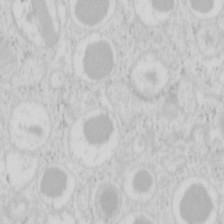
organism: Mouse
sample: Pancreas